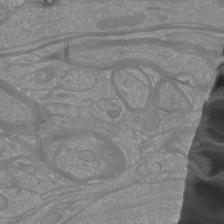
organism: Mouse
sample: Cortical neurons